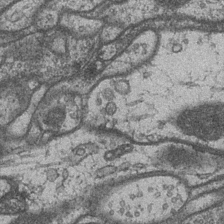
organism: Drosophila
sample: Optic medulla